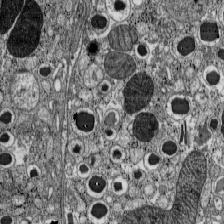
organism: C57BL Mouse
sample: Pancreatic islet